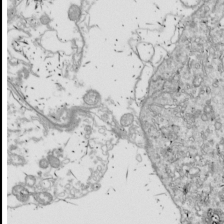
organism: Drosophila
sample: Cell division; meiosis; drosophila spermatocytes